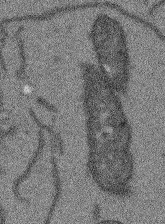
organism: Arabidopsis thaliana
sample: Root tip